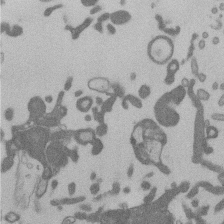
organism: Mouse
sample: Dividing mouse embryo 1 cell stage